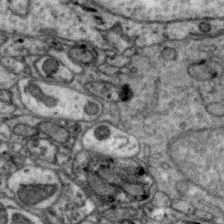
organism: Zebra finch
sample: Brain